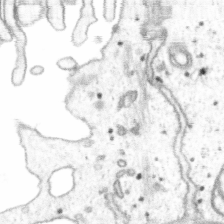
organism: Human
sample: HeLa cells